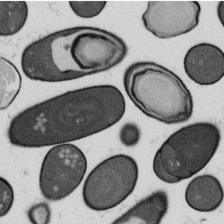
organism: B. subtilis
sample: Bacterial spore